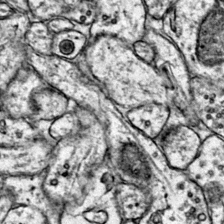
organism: Mouse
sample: Primary visual cortex